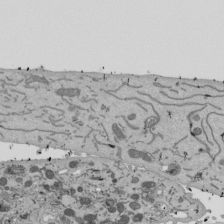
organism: Mouse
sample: ED-1 cell nuclei; centrioles